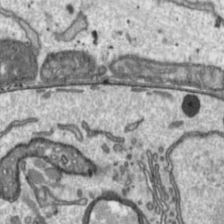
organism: Toxoplasma gondii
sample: Parasites in a vacuole inside a host cell